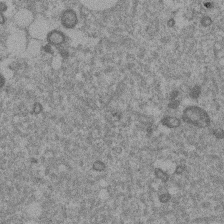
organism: Mouse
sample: Dividing mouse embryo 1 cell stage